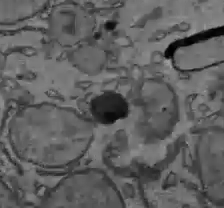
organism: C57BL Mouse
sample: Liver